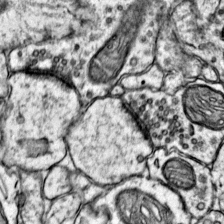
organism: Mouse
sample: Primary visual cortex